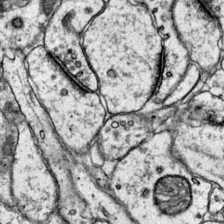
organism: Mouse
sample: Primary visual cortex